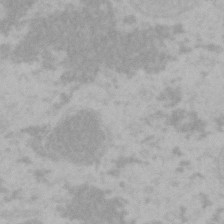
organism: Mouse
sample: Choroid plexus